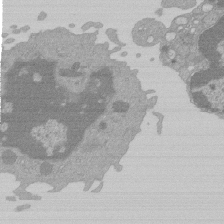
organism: Mouse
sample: Activated Pmel transgenic CD8+ T Cells